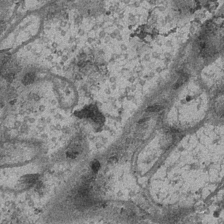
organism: Drosophila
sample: Optic medulla